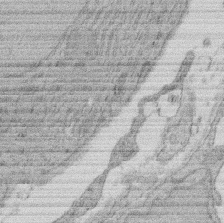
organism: Rat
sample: Salivary granule